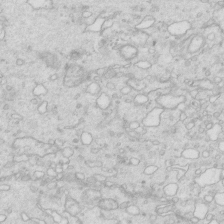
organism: Mouse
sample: Multiciliated cells